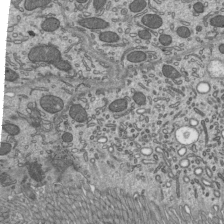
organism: Mouse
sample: Mouse epididymis efferent ductule cilia